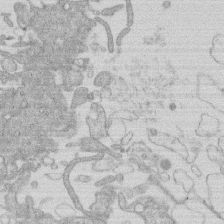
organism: Human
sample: Macrophage cells